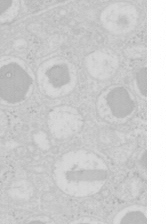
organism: Mouse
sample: Pancreas